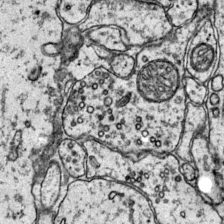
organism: Mouse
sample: Primary visual cortex